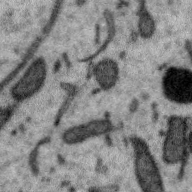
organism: Zebra finch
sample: Brain